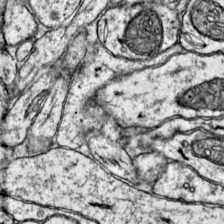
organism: Mouse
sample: Primary visual cortex